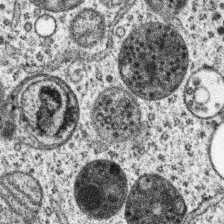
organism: Human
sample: HeLa cells